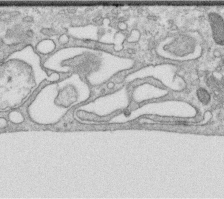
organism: Human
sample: Centriole in RPE cells